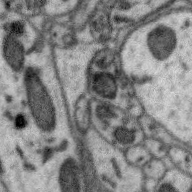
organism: Zebra finch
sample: Brain